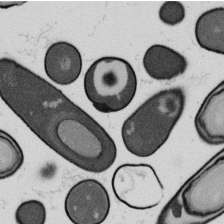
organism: B. subtilis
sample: Bacterial spore